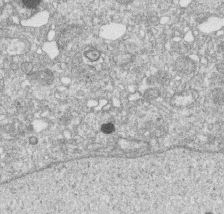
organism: Human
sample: HeLa cell HIV synapse